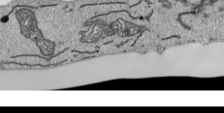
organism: Human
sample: Mitochondria in HCT116 cells